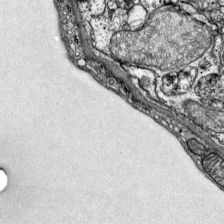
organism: Mouse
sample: Visual Cortex